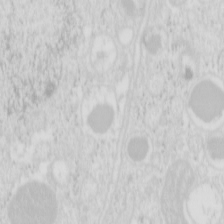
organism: Mouse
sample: Pancreas